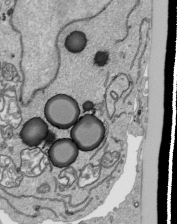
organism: Human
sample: Mitochondria in HCT116 cells